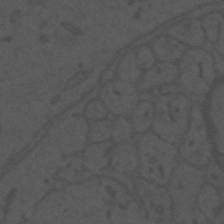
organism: Mouse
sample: Suprachiasmatic nucleus